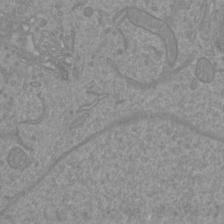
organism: Mouse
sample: Cortical neurons